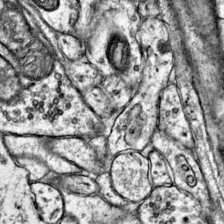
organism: Mouse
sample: Primary visual cortex